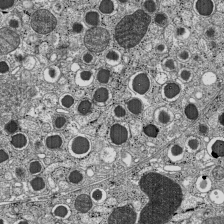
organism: C57BL Mouse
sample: Pancreatic islet